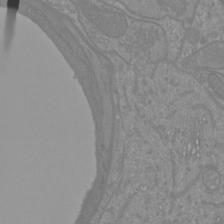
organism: Mouse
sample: Cortical neurons